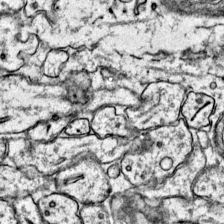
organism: Mouse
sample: Primary visual cortex